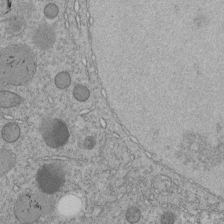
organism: C. elegans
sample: C. elegans embryo early stage